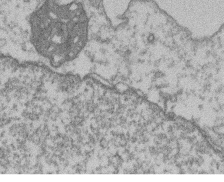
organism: Mouse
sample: T cell stromal cell synapse